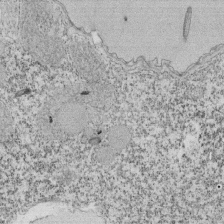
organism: Tetrahymena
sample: Cilia in tetrahymena